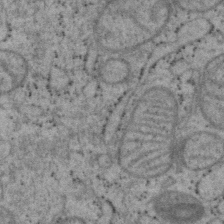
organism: Human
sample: HeLa cells